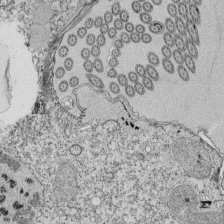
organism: Tetrahymena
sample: Cilia in tetrahymena